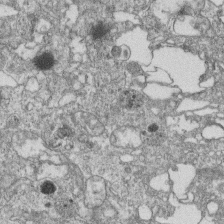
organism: Human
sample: HeLa cell HIV synapse